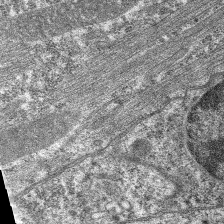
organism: C. elegans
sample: Pharynx